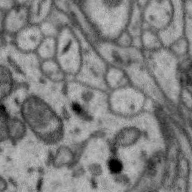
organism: Zebra finch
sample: Brain